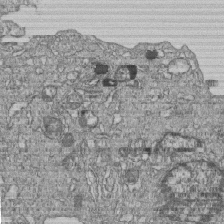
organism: Human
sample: MDA-MB-231 cells